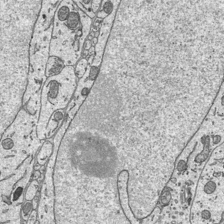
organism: Mouse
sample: Suprachiasmatic nucleus